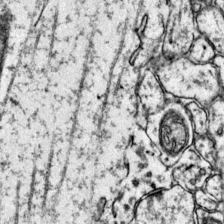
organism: Mouse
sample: Primary visual cortex